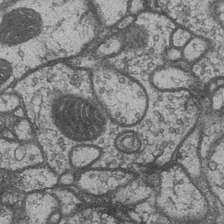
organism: Drosophila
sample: Optic medulla